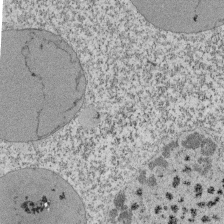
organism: Tetrahymena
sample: Cilia in tetrahymena